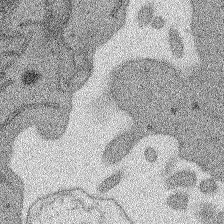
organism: Human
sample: HeLa cells